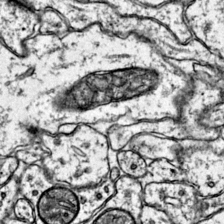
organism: Mouse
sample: Primary visual cortex